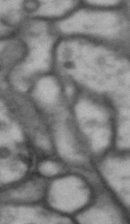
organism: Drosophila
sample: Brain